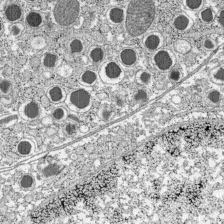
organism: C57BL Mouse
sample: Pancreatic islet